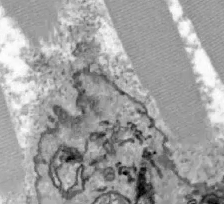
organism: Zebrafish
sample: Actinotrichia fibers